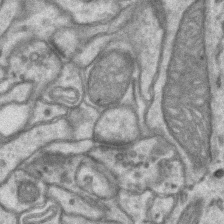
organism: Mouse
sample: CA1 Hippocampus